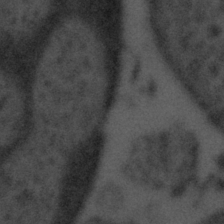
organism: Tuwongella immobilis